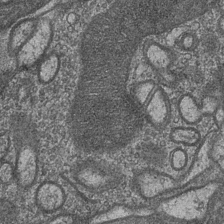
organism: Drosophila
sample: Optic medulla